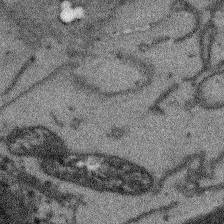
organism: Arabidopsis thaliana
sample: Root tip